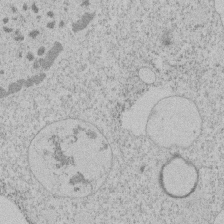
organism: Tetrahymena